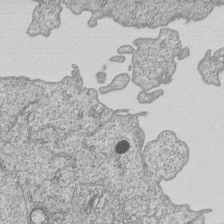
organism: Human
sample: MDA-MB-231 cells